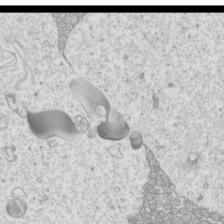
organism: Mouse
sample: Cilia; mouse epididymis